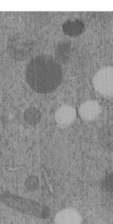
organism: C. elegans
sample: C. elegans embryo early stage